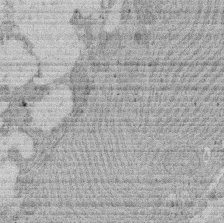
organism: Rat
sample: Salivary granule